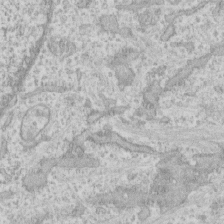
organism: Human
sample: CRL-1474